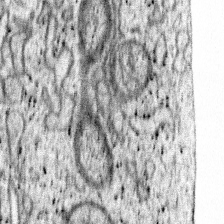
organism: Human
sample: HeLa cells